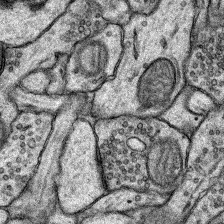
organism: Rat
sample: Hippocampus